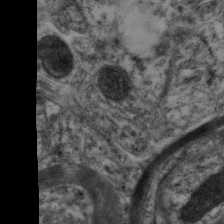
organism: Mouse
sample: Neocortex